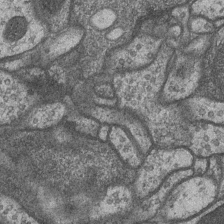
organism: Drosophila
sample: Optic medulla